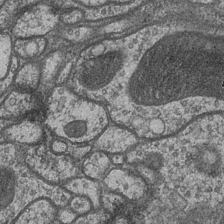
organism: Drosophila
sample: Optic medulla